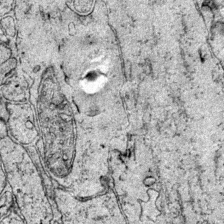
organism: Mouse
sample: Primary visual cortex